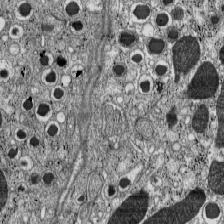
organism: C57BL Mouse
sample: Pancreatic islet